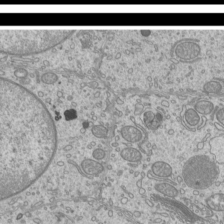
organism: Mouse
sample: Cilia; mouse epididymis